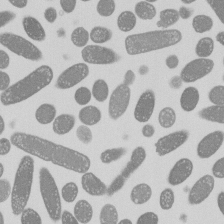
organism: E. coli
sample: Bacterial nucleoid